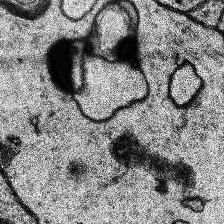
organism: Human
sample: Temporal Lobe